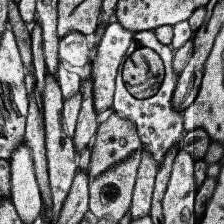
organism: Human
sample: Temporal Lobe